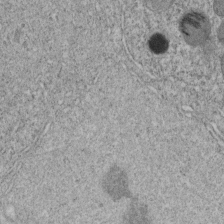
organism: C. elegans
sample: C. elegans embryo early stage